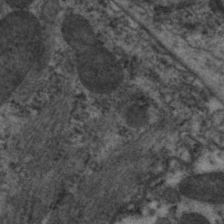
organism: C. elegans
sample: Pharynx